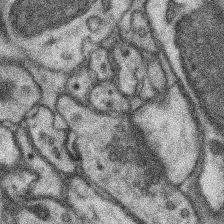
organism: Mouse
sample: Somatosensory cortex neuropil